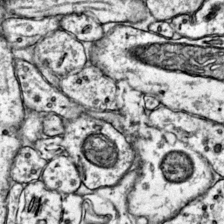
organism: Mouse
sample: Primary visual cortex